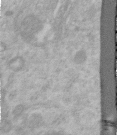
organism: Human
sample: Centriole in RPE cells